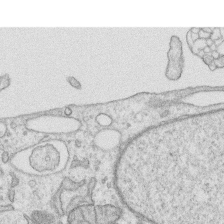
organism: Human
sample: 1205lu cells